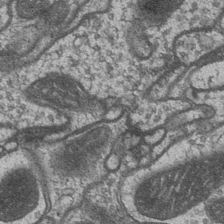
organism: Drosophila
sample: Optic medulla